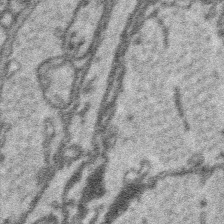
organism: Platynereis dumerilii